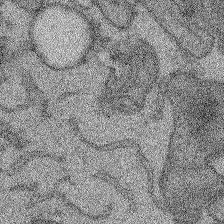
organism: Human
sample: HeLa cells